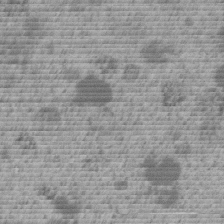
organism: C. elegans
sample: C. elegans embryo early stage